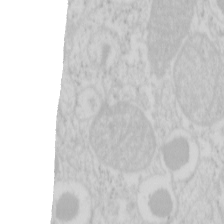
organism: Mouse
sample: Pancreas